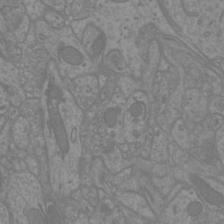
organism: Mouse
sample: Cortical neurons